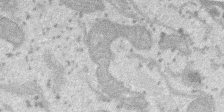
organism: Human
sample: Lung epithelial cells infected with SARS-CoV-2